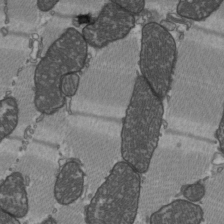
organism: C57BL Mouse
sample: Heart